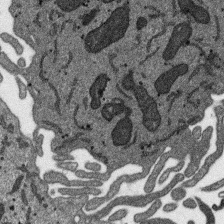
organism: Human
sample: Lung epithelial cells infected with SARS-CoV-2